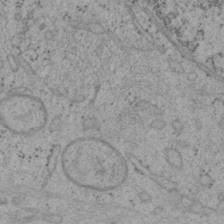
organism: Human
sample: HeLa cells